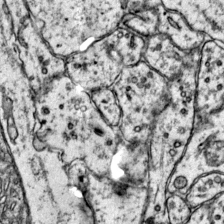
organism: Mouse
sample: Primary visual cortex